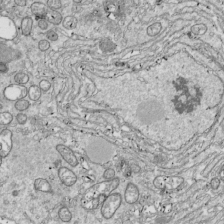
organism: Drosophila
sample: Cell division; meiosis; drosophila spermatocytes